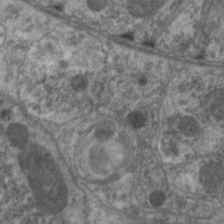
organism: C. elegans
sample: Pharynx